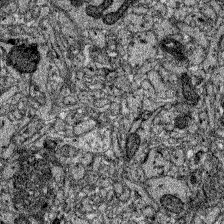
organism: Zebrafish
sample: Larval olfactory bulb